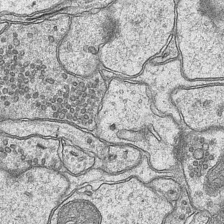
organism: Mouse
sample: CA1 Hippocampus